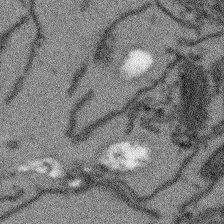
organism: Arabidopsis thaliana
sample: Root tip